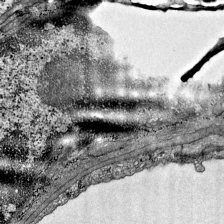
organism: Mouse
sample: Visual Cortex